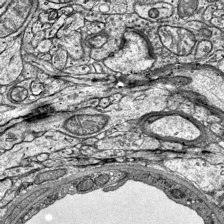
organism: Mouse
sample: Visual Cortex